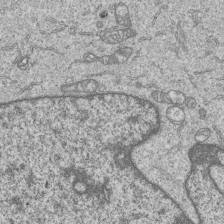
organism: Human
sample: MDA-MB-231 cells